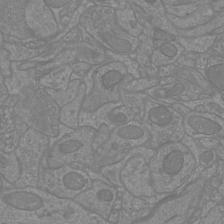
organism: Mouse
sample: Cortical neurons